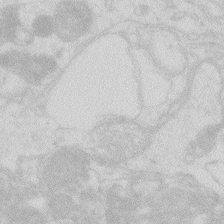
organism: Zebrafish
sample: Macrophage